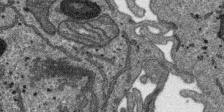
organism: Human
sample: Lung epithelial cells infected with SARS-CoV-2